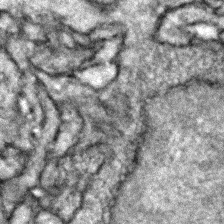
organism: Zebrafish